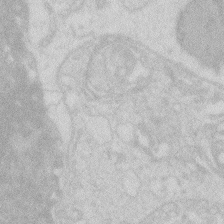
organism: Zebrafish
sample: Macrophage